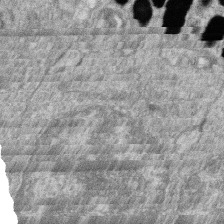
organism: Zebrafish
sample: Cilia; retinal pigment epithelium